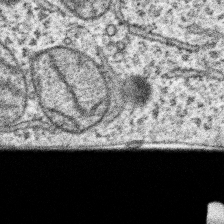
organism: Human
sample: HeLa cells